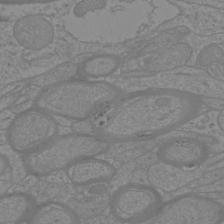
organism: Mouse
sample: Cortical neurons